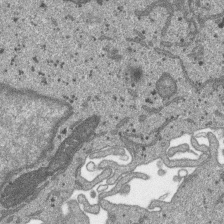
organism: Human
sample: Lung epithelial cells infected with SARS-CoV-2